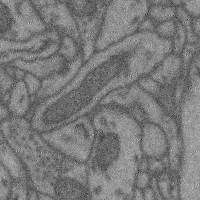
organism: Mouse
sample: Cerebral cortex